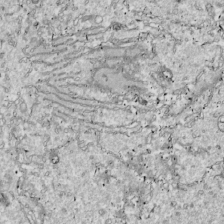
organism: Drosophila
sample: Cell division; meiosis; drosophila spermatocytes